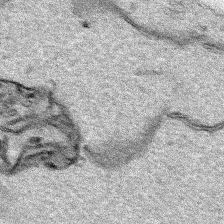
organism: Human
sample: Mitochondria in HCT116 cells